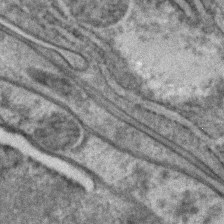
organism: C. elegans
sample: C. elegans embryo